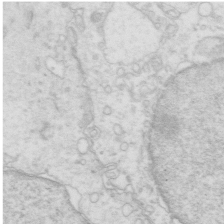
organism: Mouse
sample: Multiciliated cells